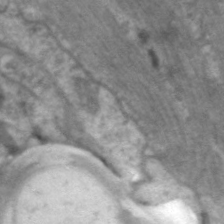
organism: C. elegans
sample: Pharynx